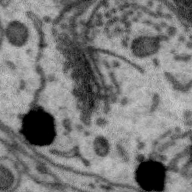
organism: Zebra finch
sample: Brain